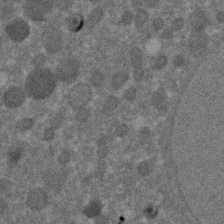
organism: C. elegans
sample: C. elegans embryo